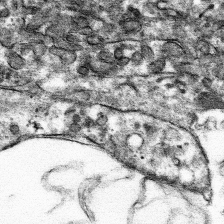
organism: Mouse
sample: Mouse hepatocytes